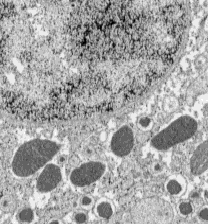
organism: C57BL Mouse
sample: Pancreatic islet